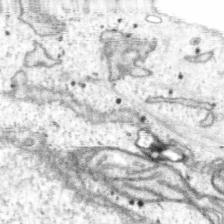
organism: Human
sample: HeLa cells